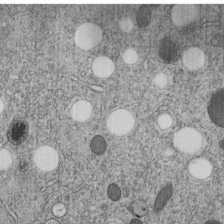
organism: C. elegans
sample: C. elegans embryo early stage